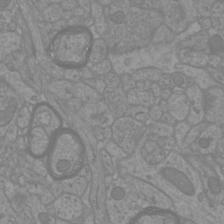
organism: Mouse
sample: Cortical neurons